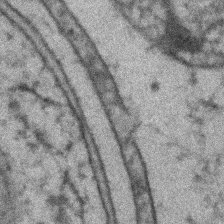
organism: Zebrafish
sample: Zebrafish embryo